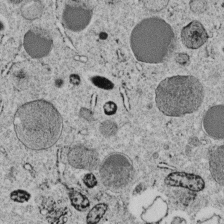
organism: C. elegans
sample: C. elegans embryo early stage